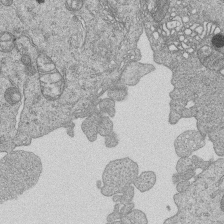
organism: Human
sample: MDA-MB-231 cells